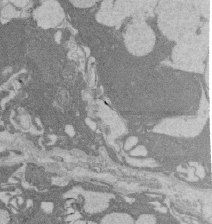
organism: Rat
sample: Salivary granule